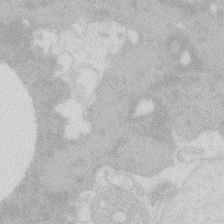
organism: Zebrafish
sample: Macrophage